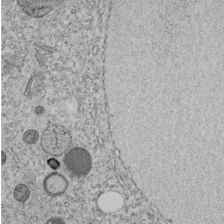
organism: C. elegans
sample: C. elegans embryo early stage